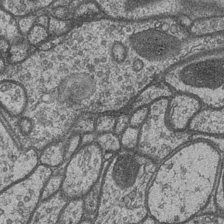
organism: Drosophila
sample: Optic medulla